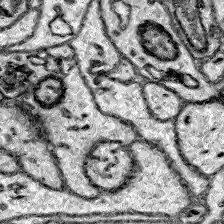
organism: Zebrafish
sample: Brain